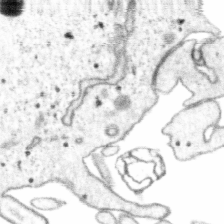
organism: Human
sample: HeLa cells